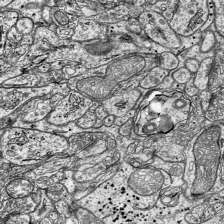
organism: Mouse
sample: Visual Cortex